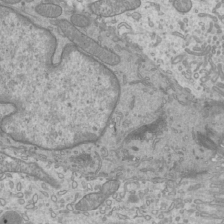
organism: Mouse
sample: Cilia; mouse epididymis